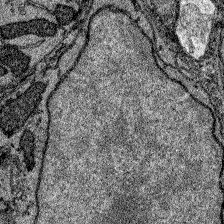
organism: Zebrafish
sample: Larval olfactory bulb